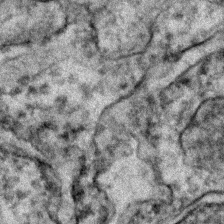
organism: Zebrafish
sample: Zebrafish embryo